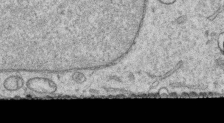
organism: Human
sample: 1205lu cells